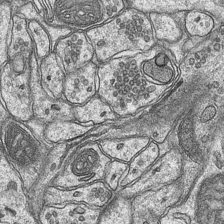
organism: Mouse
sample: CA1 Hippocampus